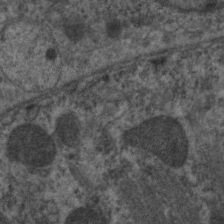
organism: C. elegans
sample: Pharynx